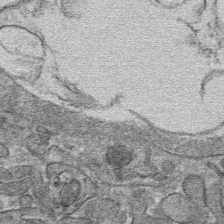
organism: Mouse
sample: Mouse hepatocytes